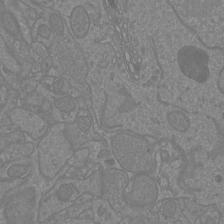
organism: Mouse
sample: Cortical neurons